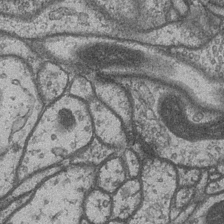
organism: Drosophila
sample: Optic medulla